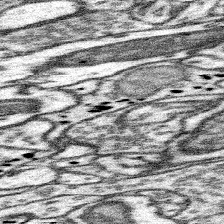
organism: Mouse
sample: Somatosensory cortex neuropil